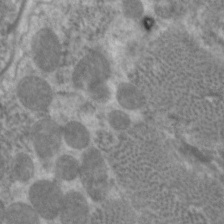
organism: C. elegans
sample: Pharynx